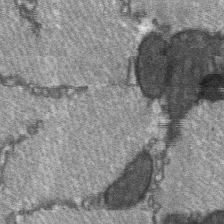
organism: C57BL Mouse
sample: Soleus